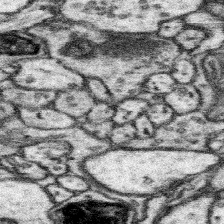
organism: Mouse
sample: Somatosensory cortex neuropil